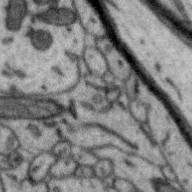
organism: Zebra finch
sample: Brain